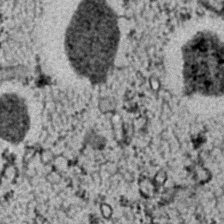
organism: C. elegans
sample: C. elegans embryo